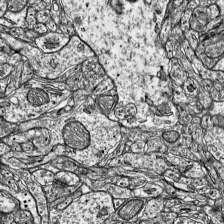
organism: Mouse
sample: Visual Cortex